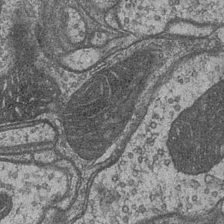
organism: Drosophila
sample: Optic medulla